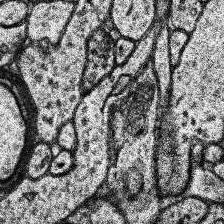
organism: Human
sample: Temporal Lobe